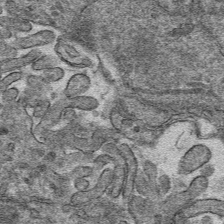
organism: Mouse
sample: Mouse hepatocytes